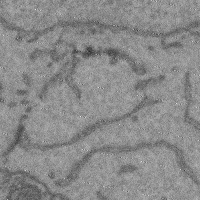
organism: Mouse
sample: Cerebral cortex